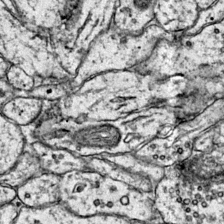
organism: Mouse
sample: Primary visual cortex